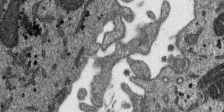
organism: Human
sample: Lung epithelial cells infected with SARS-CoV-2